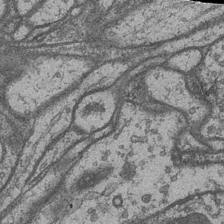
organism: Drosophila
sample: Optic medulla